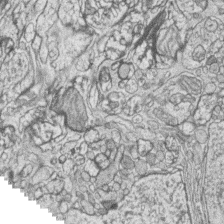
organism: Zebrafish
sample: synaptic ribbons in rod cells and cone cells